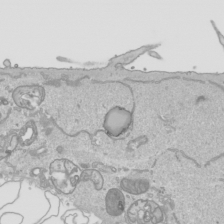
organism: Human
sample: Mitochondria in HCT116 cells